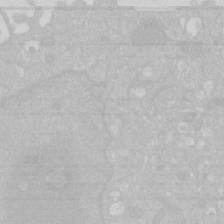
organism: Human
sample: HIV infected U937 cells